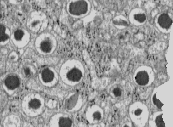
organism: C57BL Mouse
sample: Pancreatic islet